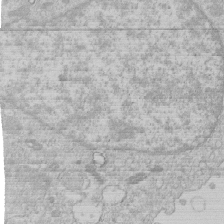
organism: Human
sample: Macrophage cells